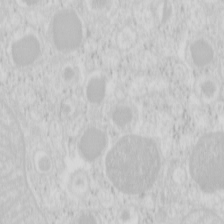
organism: Mouse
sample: Pancreas